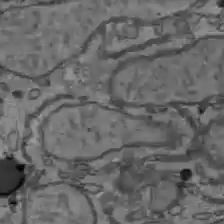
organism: C57BL Mouse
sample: Liver